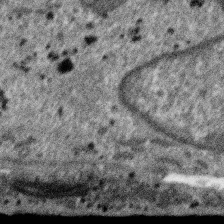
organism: Human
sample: Lung epithelial cells infected with SARS-CoV-2